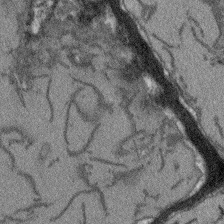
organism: Arabidopsis thaliana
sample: Root tip